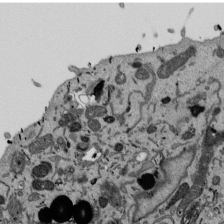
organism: Mouse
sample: ED-1 cell nuclei; centrioles